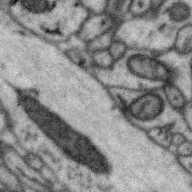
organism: Zebra finch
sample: Brain